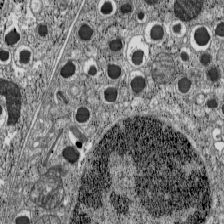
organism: C57BL Mouse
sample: Pancreatic islet